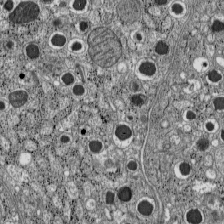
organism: C57BL Mouse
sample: Pancreatic islet